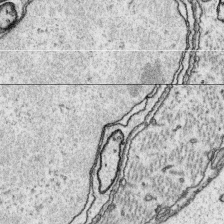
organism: Platynereis dumerilii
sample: Parapodia